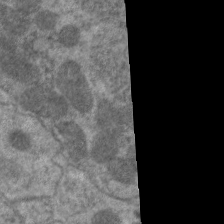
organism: C. elegans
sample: Pharynx